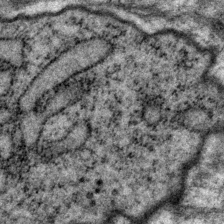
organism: P. pacificus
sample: Pharynx